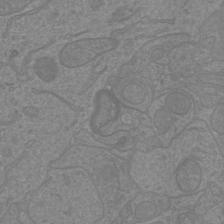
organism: Mouse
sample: Cortical neurons